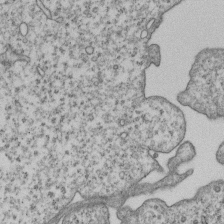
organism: Human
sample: MDA-MB-231 cells